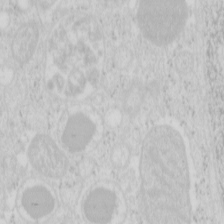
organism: Mouse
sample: Pancreas